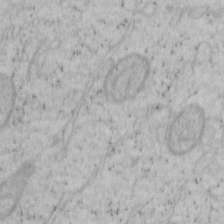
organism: Human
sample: HeLa cells